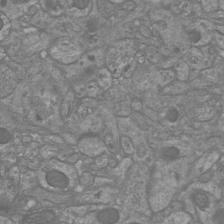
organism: Mouse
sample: Cortical neurons